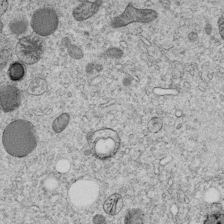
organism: C. elegans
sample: C. elegans embryo early stage